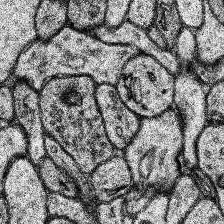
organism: Human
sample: Temporal Lobe